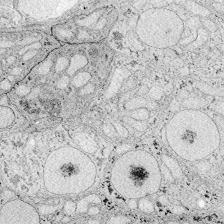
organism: Zebrafish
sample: Whole-Brain